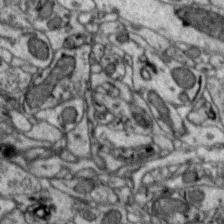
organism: Zebra finch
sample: Brain